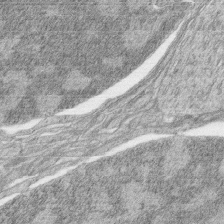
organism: Zebrafish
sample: synaptic ribbons in rod cells and cone cells